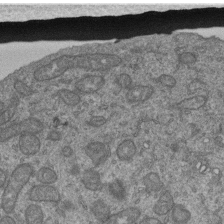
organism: Human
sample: Retinal organoid Rod and Cone cells